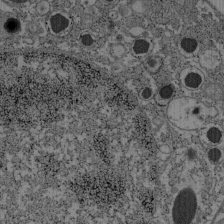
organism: C57BL Mouse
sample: Pancreatic islet